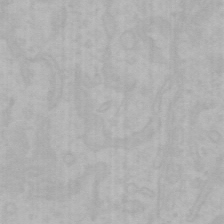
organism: Mouse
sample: Choroid plexus